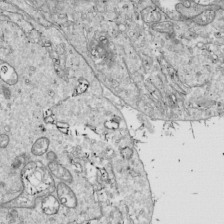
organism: Drosophila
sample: Cell division; meiosis; drosophila spermatocytes